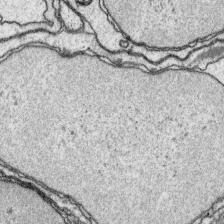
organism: Platynereis dumerilii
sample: Parapodia